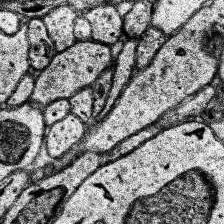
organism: Human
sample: Temporal Lobe